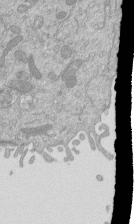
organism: Mouse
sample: ED-1 cell nuclei; centrioles